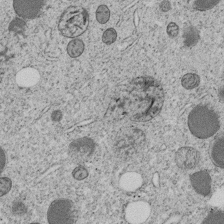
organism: C. elegans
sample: C. elegans embryo early stage